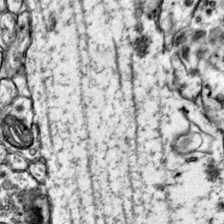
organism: Mouse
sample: Primary visual cortex